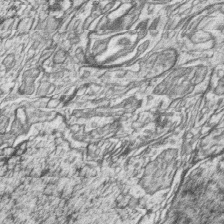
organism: Zebrafish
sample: synaptic ribbons in rod cells and cone cells